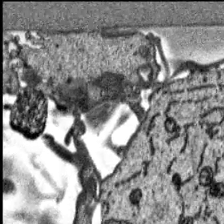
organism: Human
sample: HeLa cells